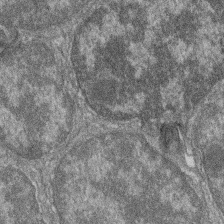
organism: Zebrafish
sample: Cilia; retinal pigment epithelium